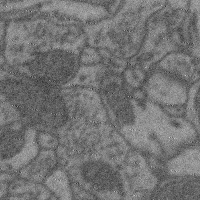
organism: Mouse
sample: Cerebral cortex